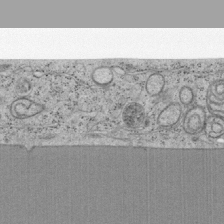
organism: Human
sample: HeLa cells